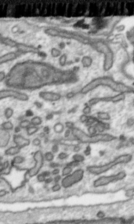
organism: Toxoplasma gondii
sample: Parasites in a vacuole inside a host cell